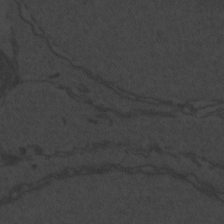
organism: Zebrafish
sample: Macrophage infected with Toxoplasma gondii